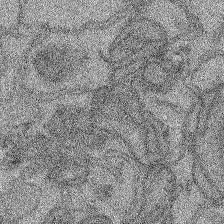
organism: Human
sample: HeLa cells